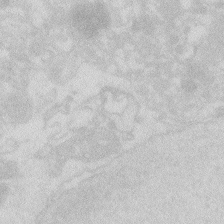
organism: Zebrafish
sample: Macrophage